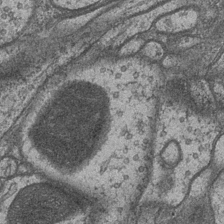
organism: Drosophila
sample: Optic medulla